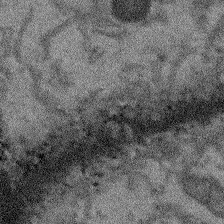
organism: Arabidopsis thaliana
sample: Root tip